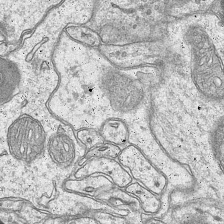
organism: Mouse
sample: CA1 Hippocampus